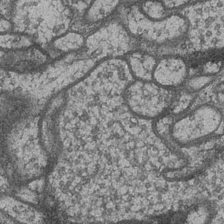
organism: Drosophila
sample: Optic medulla